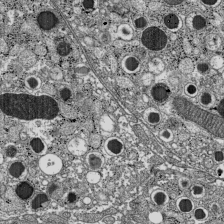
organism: C57BL Mouse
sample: Pancreatic islet